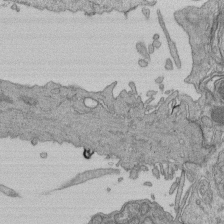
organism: Human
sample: Retinal organoid Rod and Cone cells